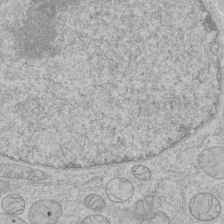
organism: Human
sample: Mitochondria in HCT116 cells